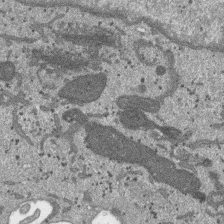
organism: Human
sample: Lung epithelial cells infected with SARS-CoV-2